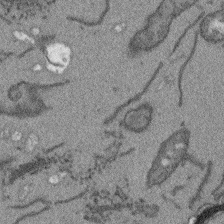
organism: Arabidopsis thaliana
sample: Root tip